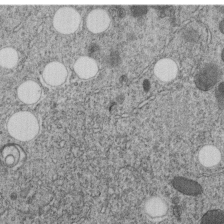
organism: C. elegans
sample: C. elegans embryo early stage